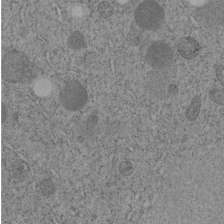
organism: C. elegans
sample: C. elegans embryo early stage